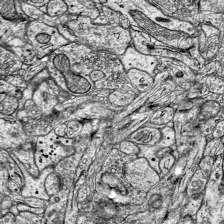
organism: Mouse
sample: Visual Cortex